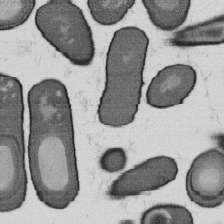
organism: B. subtilis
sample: Bacterial spore